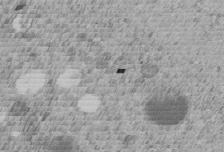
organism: C. elegans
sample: C. elegans embryo early stage